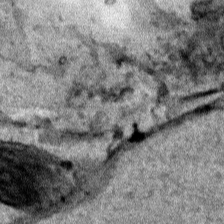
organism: Human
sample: Mitochondria in HCT116 cells